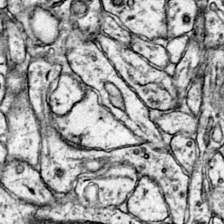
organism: Mouse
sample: Primary visual cortex